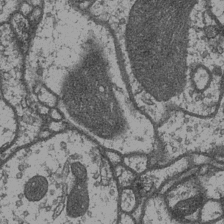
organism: Drosophila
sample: Optic medulla